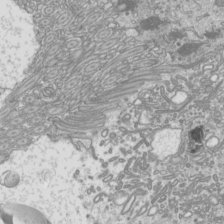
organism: Mouse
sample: Cilia; mouse epididymis